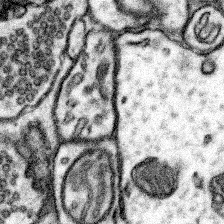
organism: Mouse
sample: Somatosensory cortex neuropil